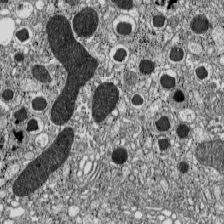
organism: C57BL Mouse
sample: Pancreatic islet